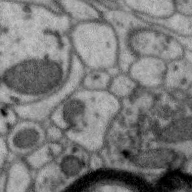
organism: Zebra finch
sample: Brain